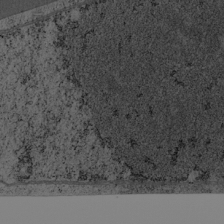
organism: African green monkey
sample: COS-7 cells